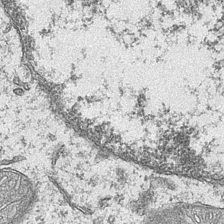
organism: Mouse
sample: CA1 Hippocampus